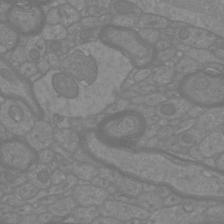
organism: Mouse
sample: Cortical neurons